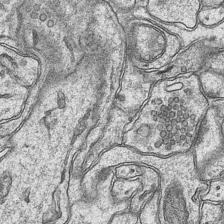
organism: Mouse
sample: CA1 Hippocampus